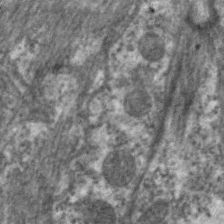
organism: C. elegans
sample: Pharynx